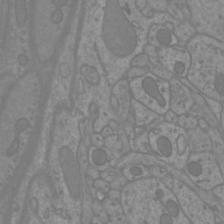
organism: Mouse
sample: Cortical neurons